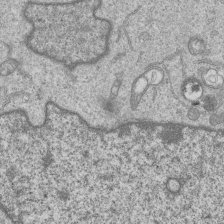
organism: Human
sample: MDA-MB-231 cells